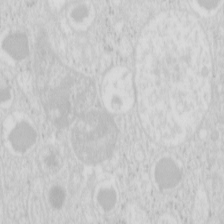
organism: Mouse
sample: Pancreas